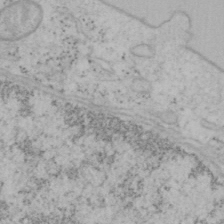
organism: Human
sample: HeLa cells